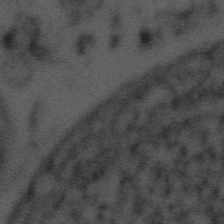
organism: Tuwongella immobilis